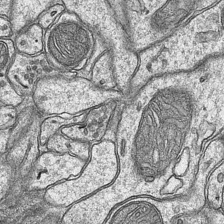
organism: Mouse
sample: CA1 Hippocampus